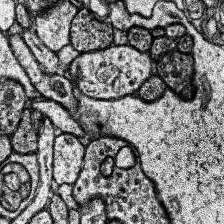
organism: Human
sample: Temporal Lobe